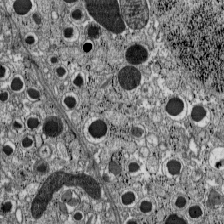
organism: C57BL Mouse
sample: Pancreatic islet